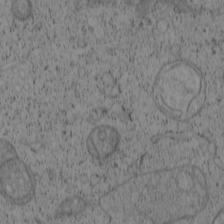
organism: African green monkey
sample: COS-7 cells